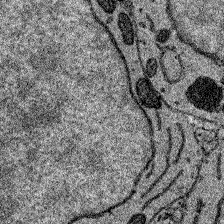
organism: Zebrafish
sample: Larval olfactory bulb